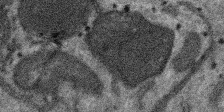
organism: Human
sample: Lung epithelial cells infected with SARS-CoV-2